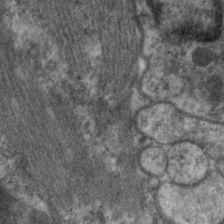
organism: C. elegans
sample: Pharynx